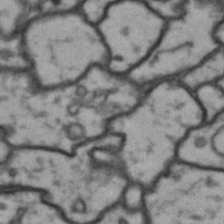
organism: Drosophila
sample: Brain